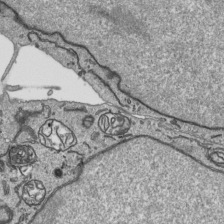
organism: Human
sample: Mitochondria in HCT116 cells